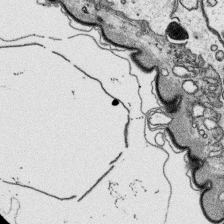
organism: Platynereis dumerilii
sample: Parapodia